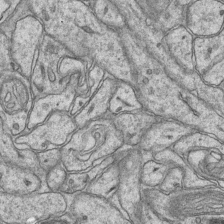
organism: Mouse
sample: CA1 Hippocampus